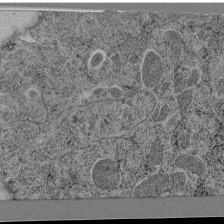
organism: C. elegans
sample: C. elegans pharynx